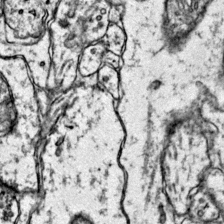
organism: Mouse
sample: Primary visual cortex